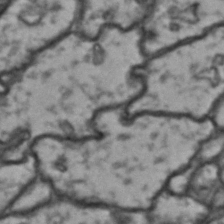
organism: Drosophila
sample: Brain